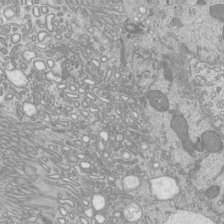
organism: Mouse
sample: Cilia; mouse epididymis